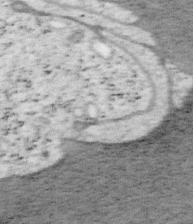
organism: Mouse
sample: OT-I killer T cells with ID8 ovarian cancer cells